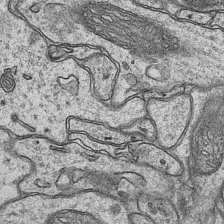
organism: Mouse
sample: CA1 Hippocampus